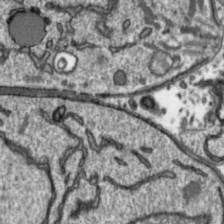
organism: Toxoplasma gondii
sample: Parasites in a vacuole inside a host cell